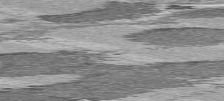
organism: C57BL Mouse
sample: Heart